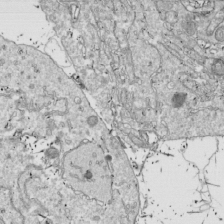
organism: Drosophila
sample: Cell division; meiosis; drosophila spermatocytes